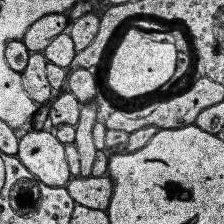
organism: Human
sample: Temporal Lobe